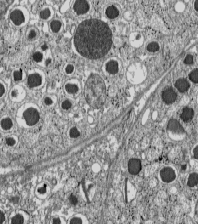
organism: C57BL Mouse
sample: Pancreatic islet